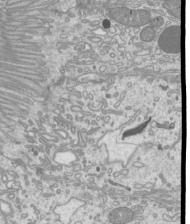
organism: Mouse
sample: Cilia; mouse epididymis